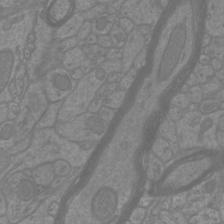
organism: Mouse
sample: Cortical neurons